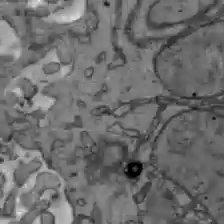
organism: C57BL Mouse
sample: Liver